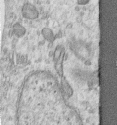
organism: Human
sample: Centriole in RPE cells